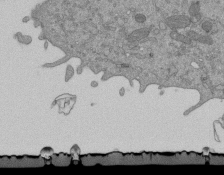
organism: Mouse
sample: ED-1 cell nuclei; centrioles